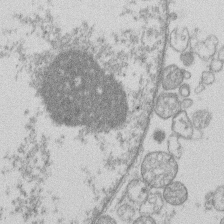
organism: Human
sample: Macrophage cells